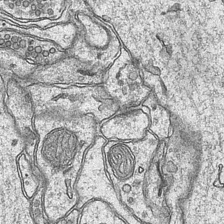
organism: Mouse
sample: CA1 Hippocampus